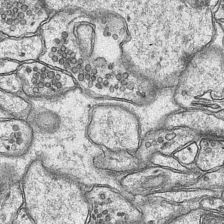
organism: Mouse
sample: CA1 Hippocampus